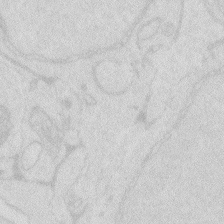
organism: Zebrafish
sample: Macrophage